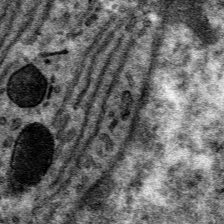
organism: Mouse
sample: Mouse hepatocytes